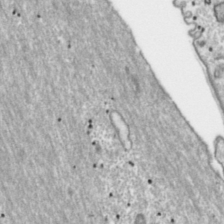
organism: Toxoplasma gondii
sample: Parasites in a vacuole inside a host cell